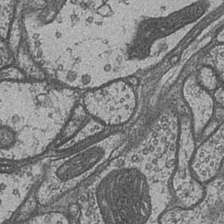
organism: Drosophila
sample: Optic medulla